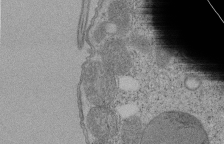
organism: Tetrahymena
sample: Cilia in tetrahymena